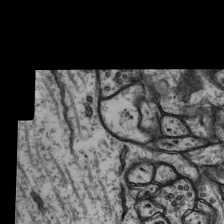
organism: Rat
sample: Hippocampus